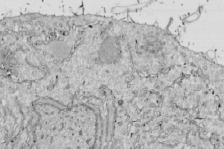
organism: Drosophila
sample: Cell division; meiosis; drosophila spermatocytes